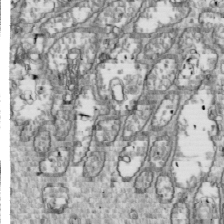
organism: Drosophila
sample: Cell division; meiosis; drosophila spermatocytes